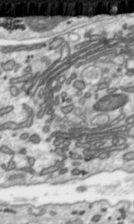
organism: Toxoplasma gondii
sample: Parasites in a vacuole inside a host cell